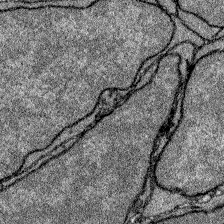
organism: Zebrafish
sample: Larval olfactory bulb